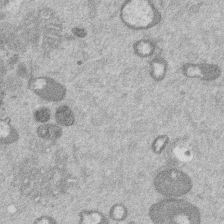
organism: Mouse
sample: Dividing mouse embryo 1 cell stage